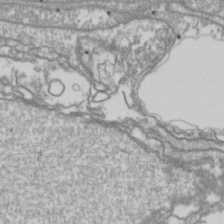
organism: Drosophila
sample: Cell division; meiosis; drosophila spermatocytes